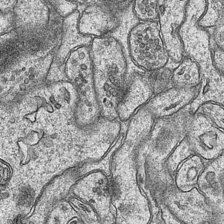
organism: Mouse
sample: CA1 Hippocampus